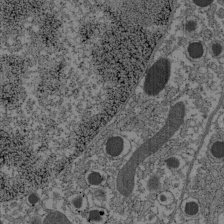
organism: C57BL Mouse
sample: Pancreatic islet